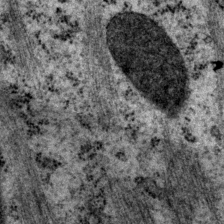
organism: P. pacificus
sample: Pharynx